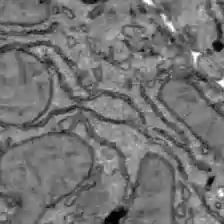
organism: C57BL Mouse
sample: Liver